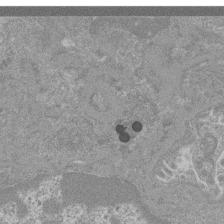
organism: Mouse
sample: Glomerulus